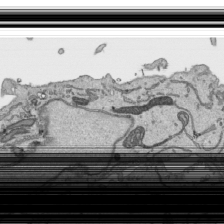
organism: Human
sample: Mitochondria in HCT116 cells